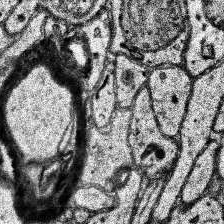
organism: Human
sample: Temporal Lobe